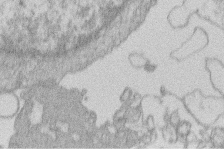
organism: Human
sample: Macrophage cells